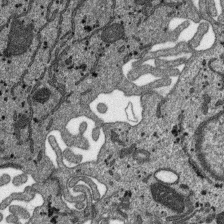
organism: Human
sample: Lung epithelial cells infected with SARS-CoV-2